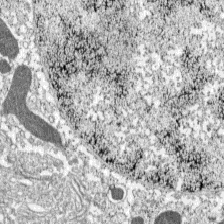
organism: C57BL Mouse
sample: Pancreatic islet